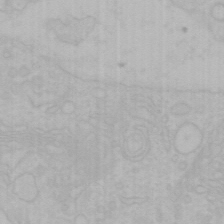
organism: Mouse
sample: Choroid plexus